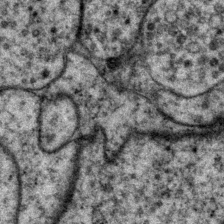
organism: P. pacificus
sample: Pharynx